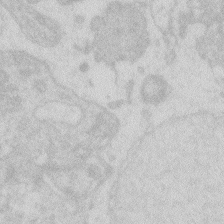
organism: Zebrafish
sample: Macrophage